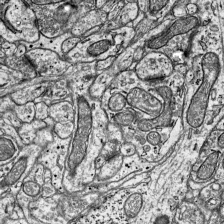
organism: Mouse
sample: Visual Cortex